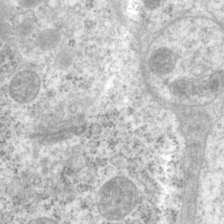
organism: P. pacificus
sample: Pharynx